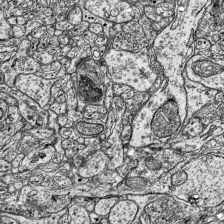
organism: Mouse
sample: Visual Cortex